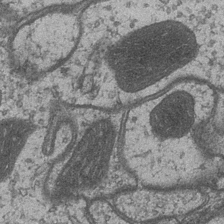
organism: Drosophila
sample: Optic medulla